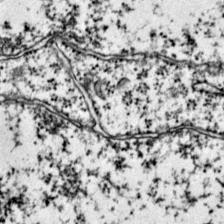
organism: Mouse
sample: Primary visual cortex